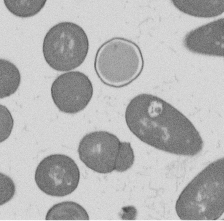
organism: B. subtilis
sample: Bacterial spore